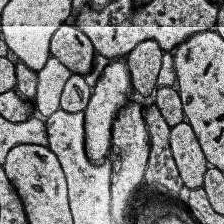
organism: Human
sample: Temporal Lobe